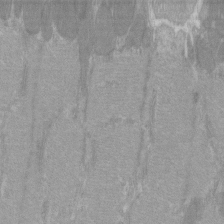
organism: C57BL Mouse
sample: Tibialis anterior muscle cell